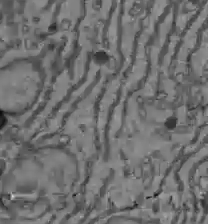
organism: C57BL Mouse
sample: Liver